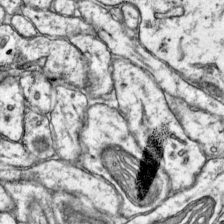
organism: Mouse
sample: Primary visual cortex